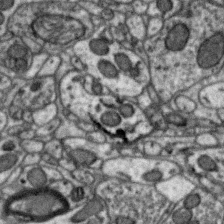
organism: Zebra finch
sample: Brain